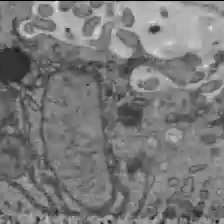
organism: C57BL Mouse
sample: Liver